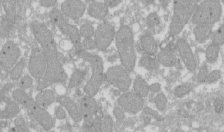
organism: Xenopus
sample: Cilia; centrioles in frog embryo cells